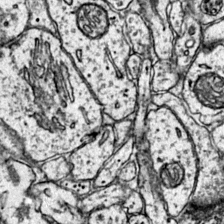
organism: Mouse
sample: Primary visual cortex